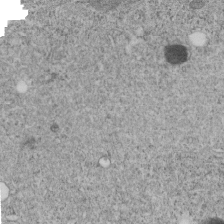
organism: C. elegans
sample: C. elegans embryo early stage